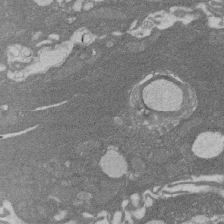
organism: Rat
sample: Salivary granule